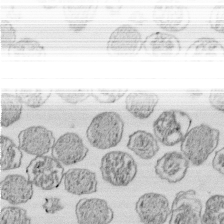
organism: E. coli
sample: Bacterial nucleoid